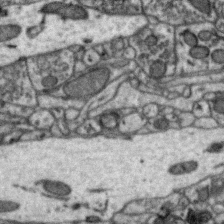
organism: Zebra finch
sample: Brain